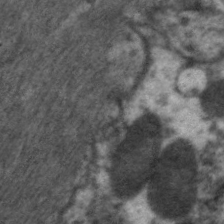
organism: C. elegans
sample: Pharynx